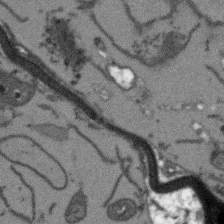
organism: Arabidopsis thaliana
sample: Root tip